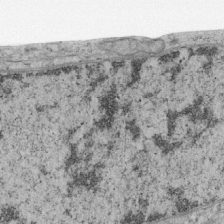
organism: Human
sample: HeLa cells